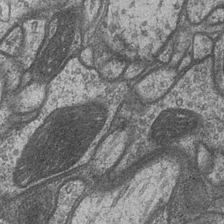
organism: Drosophila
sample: Optic medulla